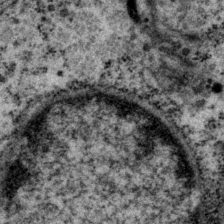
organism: P. pacificus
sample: Pharynx